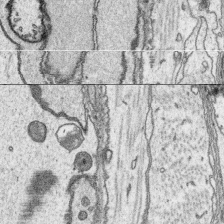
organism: Platynereis dumerilii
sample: Parapodia